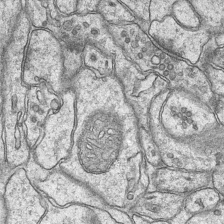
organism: Mouse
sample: CA1 Hippocampus